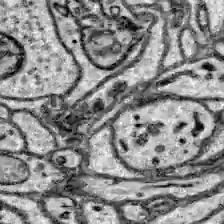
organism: Zebrafish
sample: Brain